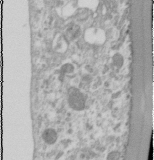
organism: Human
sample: Cilia; basal body in RPE cells